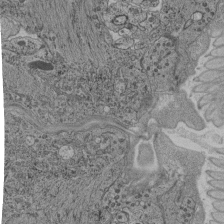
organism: C. elegans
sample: C. elegans pharynx